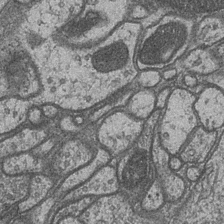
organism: Drosophila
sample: Optic medulla